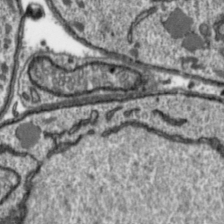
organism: Toxoplasma gondii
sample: Parasites in a vacuole inside a host cell